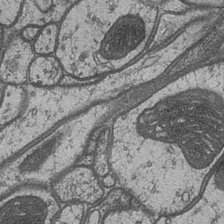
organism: Drosophila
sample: Optic medulla